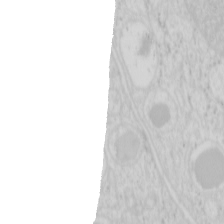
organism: Mouse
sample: Pancreas